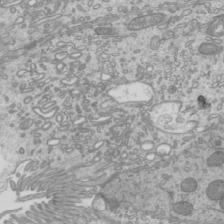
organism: Mouse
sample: Cilia; mouse epididymis